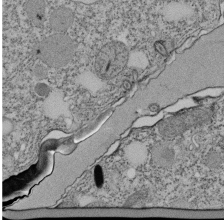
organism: Tetrahymena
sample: Cilia in tetrahymena